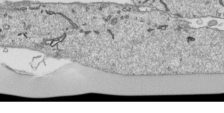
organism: Human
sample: Mitochondria in HCT116 cells